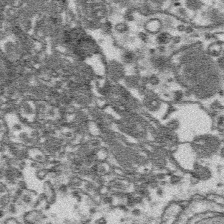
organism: Platynereis dumerilii